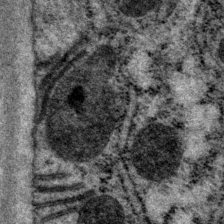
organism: P. pacificus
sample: Pharynx